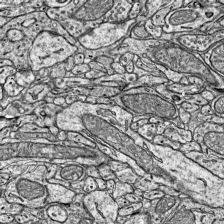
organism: Mouse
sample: Visual Cortex